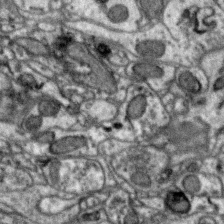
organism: Zebra finch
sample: Brain